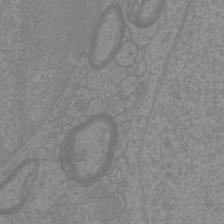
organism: Mouse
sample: Cortical neurons